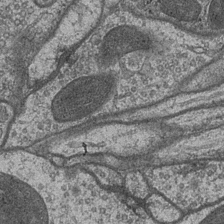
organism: Drosophila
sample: Optic medulla